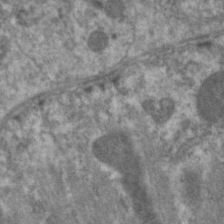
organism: C. elegans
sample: Pharynx